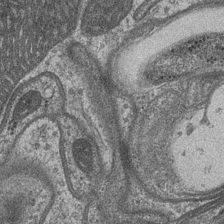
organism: Drosophila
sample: Optic medulla